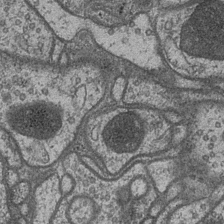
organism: Drosophila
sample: Optic medulla